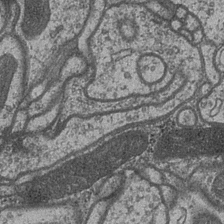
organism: Drosophila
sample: Optic medulla